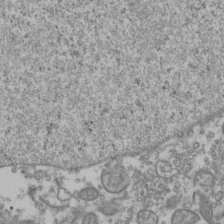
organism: Human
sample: Activated Jurkat CD4+ T cells